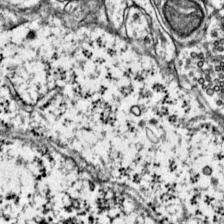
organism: Mouse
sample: Primary visual cortex